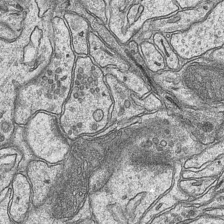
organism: Mouse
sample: CA1 Hippocampus